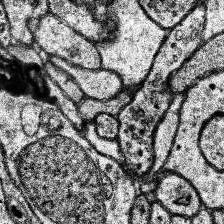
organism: Human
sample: Temporal Lobe